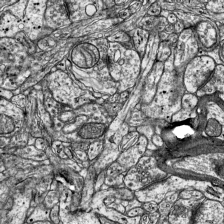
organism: Mouse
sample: Visual Cortex